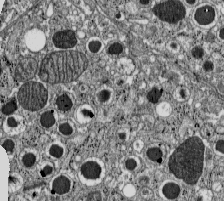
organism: C57BL Mouse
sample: Pancreatic islet